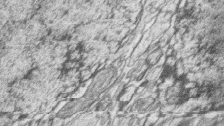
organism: Zebrafish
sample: synaptic ribbons in rod cells and cone cells